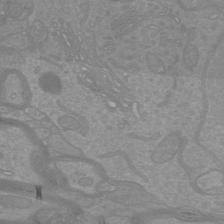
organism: Mouse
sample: Cortical neurons